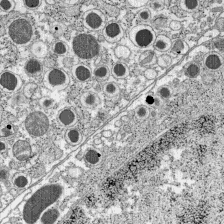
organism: C57BL Mouse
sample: Pancreatic islet